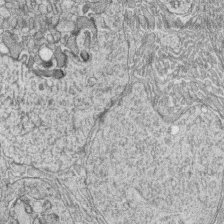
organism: Zebrafish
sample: synaptic ribbons in rod cells and cone cells